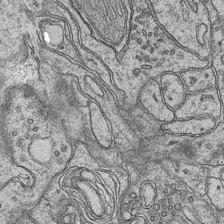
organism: Mouse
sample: CA1 Hippocampus